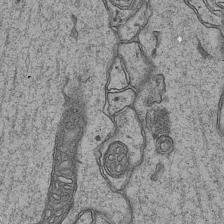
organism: Mouse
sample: CA1 Hippocampus